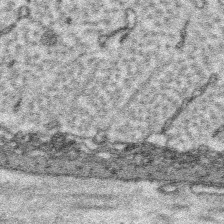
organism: Platynereis dumerilii